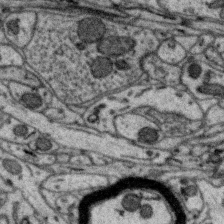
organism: Zebra finch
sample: Brain